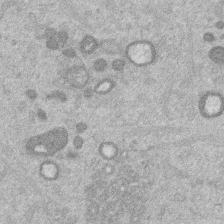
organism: Mouse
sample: Dividing mouse embryo 1 cell stage